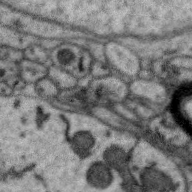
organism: Zebra finch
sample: Brain